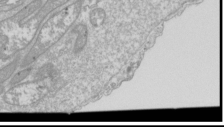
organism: Drosophila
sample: Cell division; meiosis; drosophila spermatocytes